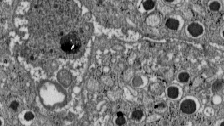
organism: C57BL Mouse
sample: Pancreatic islet